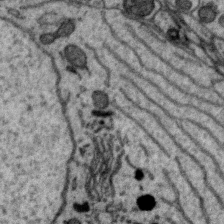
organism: Zebra finch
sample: Brain